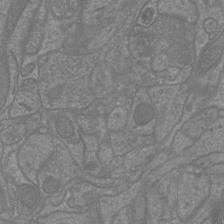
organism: Mouse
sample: Cortical neurons